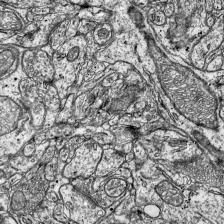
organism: Mouse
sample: Visual Cortex